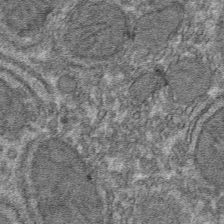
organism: Mouse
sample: Mouse hepatocytes